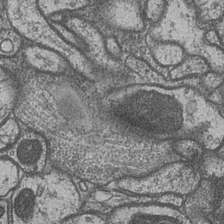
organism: Drosophila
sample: Optic medulla